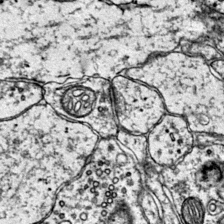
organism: Mouse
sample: Primary visual cortex